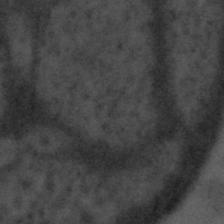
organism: Tuwongella immobilis